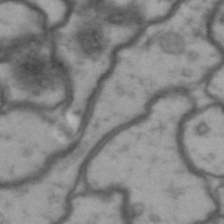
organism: Drosophila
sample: Brain